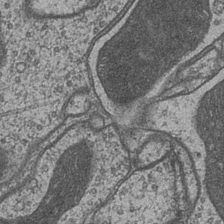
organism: Drosophila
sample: Optic medulla